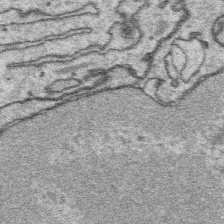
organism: Platynereis dumerilii